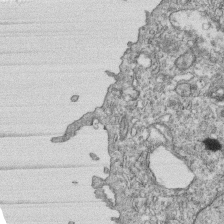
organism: Human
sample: HeLa cell HIV synapse